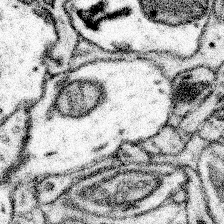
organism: Mouse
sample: Somatosensory cortex neuropil